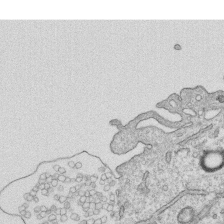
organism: Human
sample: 1205lu cells